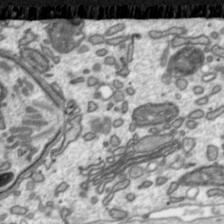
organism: Toxoplasma gondii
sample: Parasites in a vacuole inside a host cell